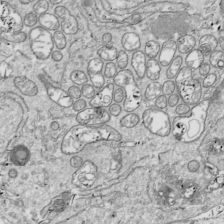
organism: Drosophila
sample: Cell division; meiosis; drosophila spermatocytes